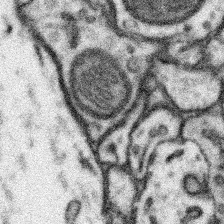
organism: Mouse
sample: Somatosensory cortex neuropil